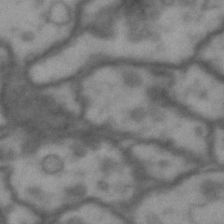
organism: Drosophila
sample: Brain